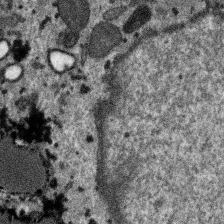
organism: Human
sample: Lung epithelial cells infected with SARS-CoV-2